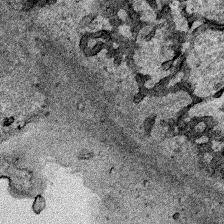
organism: Human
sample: Mitochondria in HCT116 cells